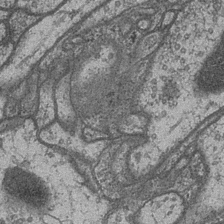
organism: Drosophila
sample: Optic medulla